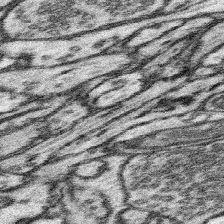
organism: Mouse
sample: Somatosensory cortex neuropil